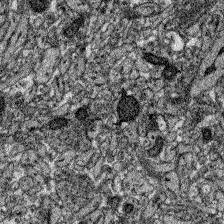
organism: Zebrafish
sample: Larval olfactory bulb